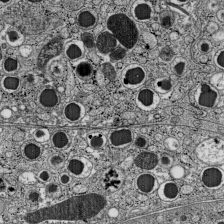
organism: C57BL Mouse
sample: Pancreatic islet